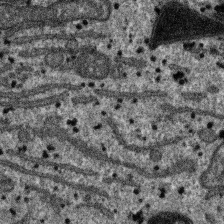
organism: Human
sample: Lung epithelial cells infected with SARS-CoV-2